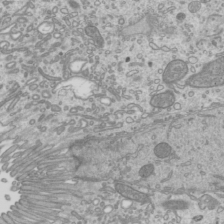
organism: Mouse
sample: Cilia; mouse epididymis